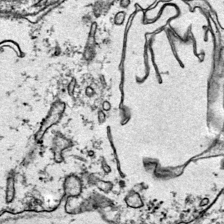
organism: Mouse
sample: Primary visual cortex